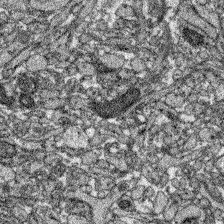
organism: Zebrafish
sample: Larval olfactory bulb